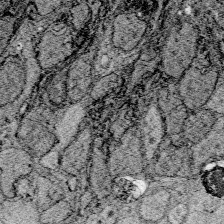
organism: Zebrafish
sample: Whole-Brain